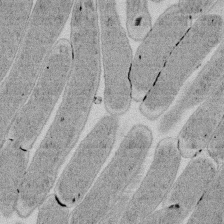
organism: E. coli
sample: Bacterial nucleoid